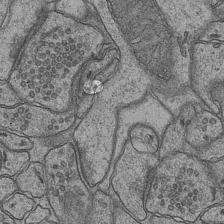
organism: Mouse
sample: CA1 Hippocampus